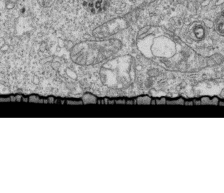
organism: Human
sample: HeLa cell HIV synapse